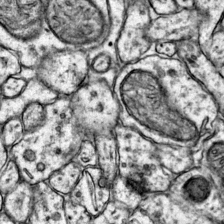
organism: Mouse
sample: Primary visual cortex